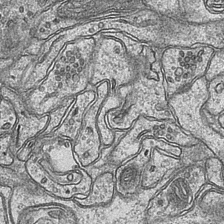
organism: Mouse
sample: CA1 Hippocampus